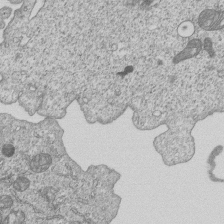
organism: Human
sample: MDA-MB-231 cells